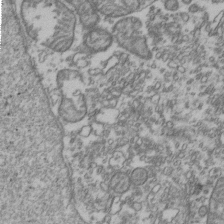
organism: Human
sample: Activated Jurkat CD4+ T cells